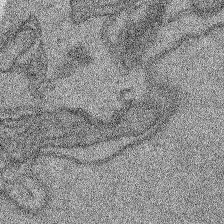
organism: Human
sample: HeLa cells